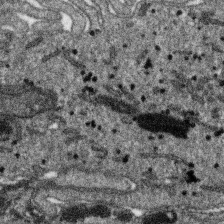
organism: Human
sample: Lung epithelial cells infected with SARS-CoV-2